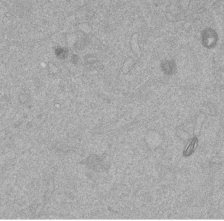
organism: Mouse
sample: Dividing mouse embryo 1 cell stage